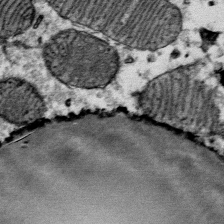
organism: Mouse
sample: Mouse Salivary gland